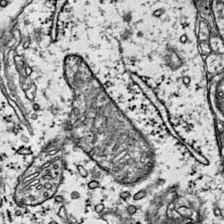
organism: Mouse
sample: Primary visual cortex